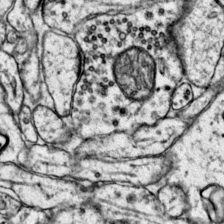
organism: Mouse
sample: Primary visual cortex